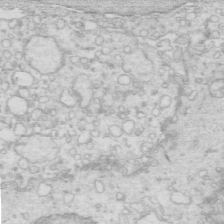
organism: Mouse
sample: Multiciliated cells